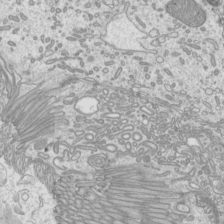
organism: Mouse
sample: Cilia; mouse epididymis